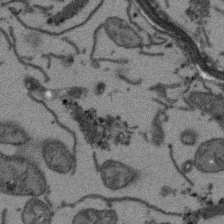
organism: Arabidopsis thaliana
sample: Root tip